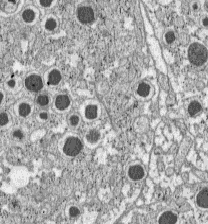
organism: C57BL Mouse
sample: Pancreatic islet